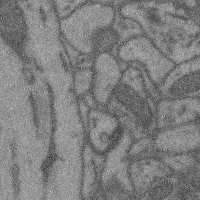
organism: Mouse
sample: Cerebral cortex